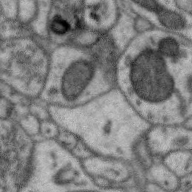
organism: Zebra finch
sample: Brain